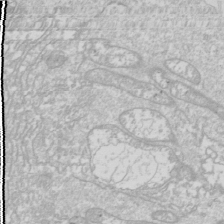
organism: Drosophila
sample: Cell division; meiosis; drosophila spermatocytes